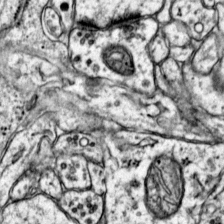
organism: Mouse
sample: Primary visual cortex